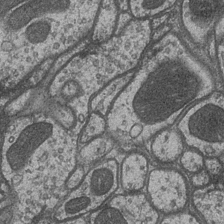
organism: Drosophila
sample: Optic medulla